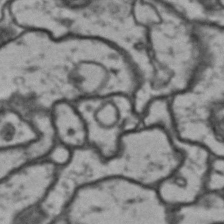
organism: Drosophila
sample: Brain